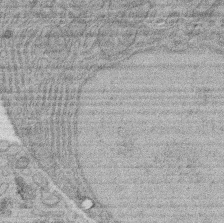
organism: Rat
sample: Salivary granule